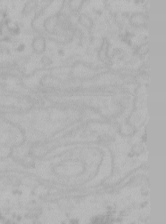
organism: Mouse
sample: Choroid plexus